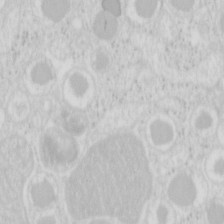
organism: Mouse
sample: Pancreas